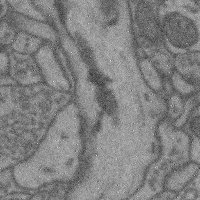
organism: Mouse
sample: Cerebral cortex